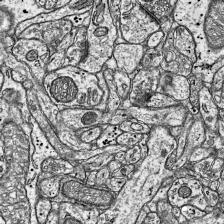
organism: Mouse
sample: Visual Cortex